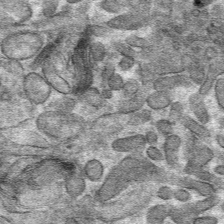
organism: Mouse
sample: Mouse hepatocytes